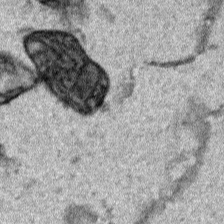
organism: Human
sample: Mitochondria in HCT116 cells